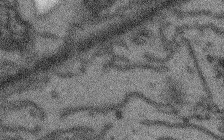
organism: Arabidopsis thaliana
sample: Root tip